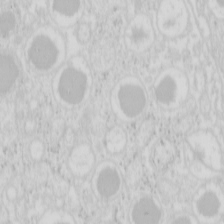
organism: Mouse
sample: Pancreas